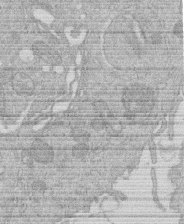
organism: Human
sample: Macrophage cells